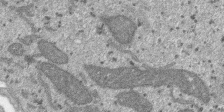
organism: Human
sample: Lung epithelial cells infected with SARS-CoV-2